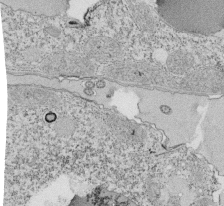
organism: Tetrahymena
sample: Cilia in tetrahymena